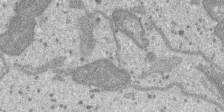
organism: Human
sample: Lung epithelial cells infected with SARS-CoV-2